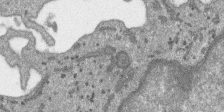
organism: Human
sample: Lung epithelial cells infected with SARS-CoV-2